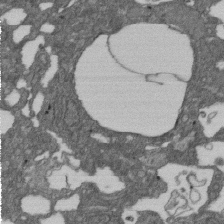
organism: Drosophila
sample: Nephrocyte